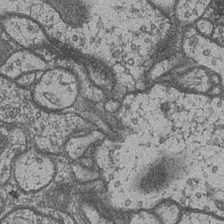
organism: Drosophila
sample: Optic medulla